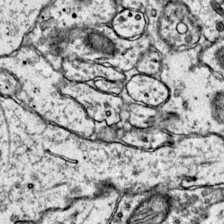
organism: Mouse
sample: Primary visual cortex